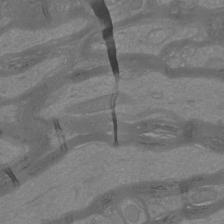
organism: Mouse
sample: Cortical neurons